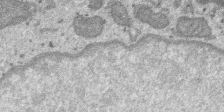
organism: Human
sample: Lung epithelial cells infected with SARS-CoV-2